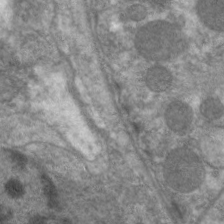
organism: C. elegans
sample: Pharynx